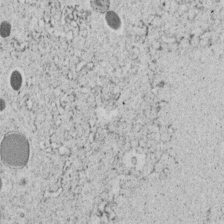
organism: C. elegans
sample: C. elegans embryo early stage